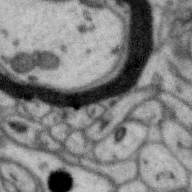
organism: Zebra finch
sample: Brain